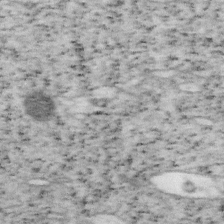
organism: Mouse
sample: OT-I killer T cells with ID8 ovarian cancer cells